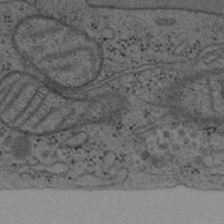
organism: Human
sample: HeLa cells